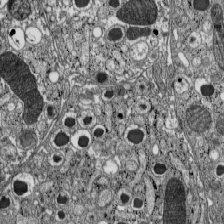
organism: C57BL Mouse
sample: Pancreatic islet